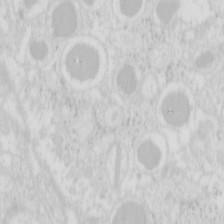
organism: Mouse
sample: Pancreas